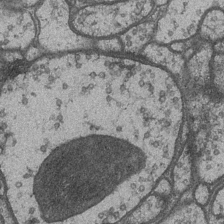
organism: Drosophila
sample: Optic medulla